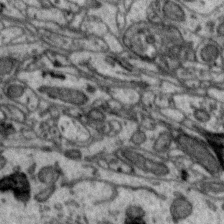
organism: Zebra finch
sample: Brain